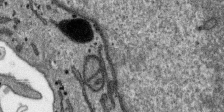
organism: Human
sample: Lung epithelial cells, uninfected (mock) control